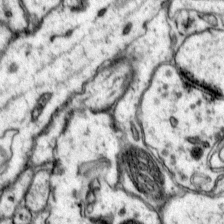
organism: Mouse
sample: Primary visual cortex